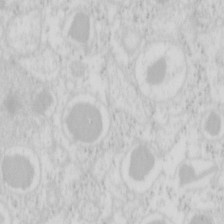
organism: Mouse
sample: Pancreas